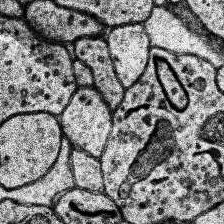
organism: Human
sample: Temporal Lobe